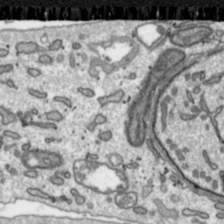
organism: Toxoplasma gondii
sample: Parasites in a vacuole inside a host cell